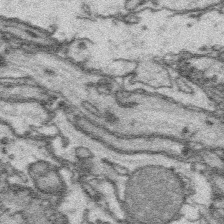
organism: Platynereis dumerilii